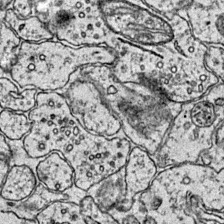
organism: Mouse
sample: Primary visual cortex